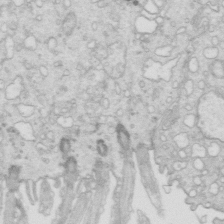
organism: Mouse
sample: Multiciliated cells